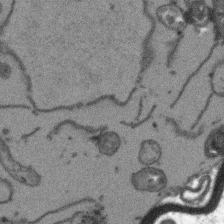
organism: Arabidopsis thaliana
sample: Root tip